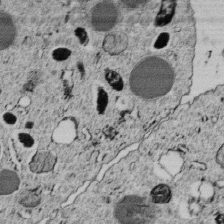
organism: C. elegans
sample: C. elegans embryo early stage